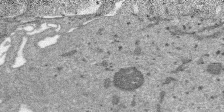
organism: Human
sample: Lung epithelial cells infected with SARS-CoV-2